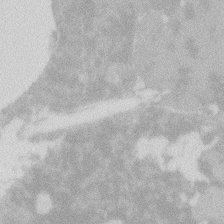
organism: Zebrafish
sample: Macrophage